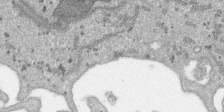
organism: Human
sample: Lung epithelial cells infected with SARS-CoV-2